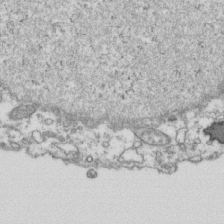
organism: Human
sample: Activated Jurkat CD4+ T cells